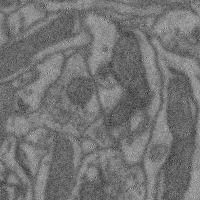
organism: Mouse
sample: Cerebral cortex